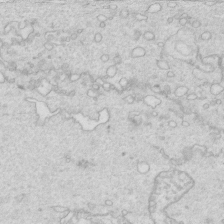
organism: Mouse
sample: Multiciliated cells